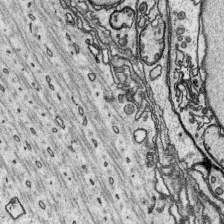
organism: Platynereis dumerilii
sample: Parapodia